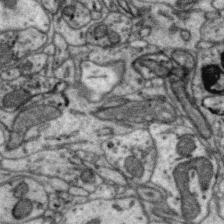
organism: Zebra finch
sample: Brain